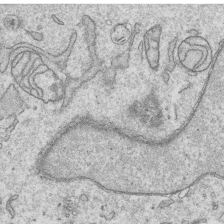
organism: Human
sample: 1205lu cells